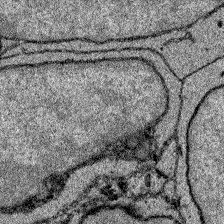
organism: Zebrafish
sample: Larval olfactory bulb